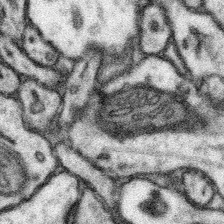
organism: Mouse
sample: Somatosensory cortex neuropil